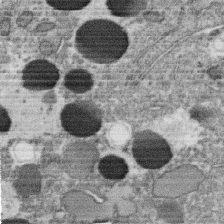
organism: C. elegans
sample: C. elegans oocyte; sperm cells